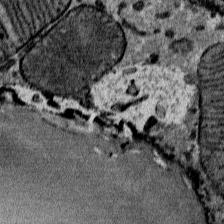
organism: Mouse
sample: Mouse Salivary gland